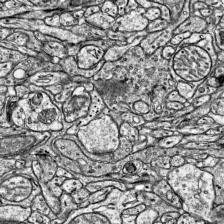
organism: Mouse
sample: Visual Cortex